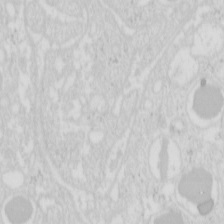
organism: Mouse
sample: Pancreas